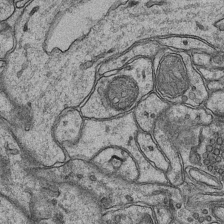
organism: Mouse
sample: CA1 Hippocampus